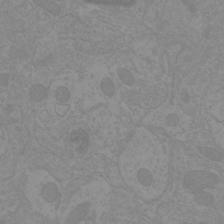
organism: Mouse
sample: Cortical neurons